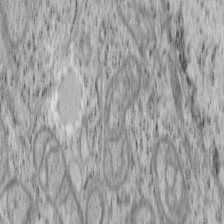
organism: Human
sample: HeLa cells